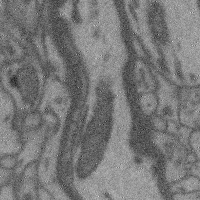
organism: Mouse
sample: Cerebral cortex